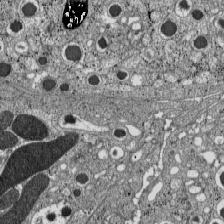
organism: C57BL Mouse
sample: Pancreatic islet